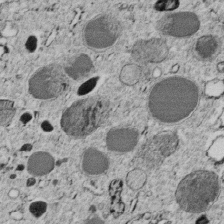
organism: C. elegans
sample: C. elegans embryo early stage